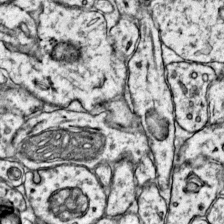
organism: Mouse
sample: Primary visual cortex